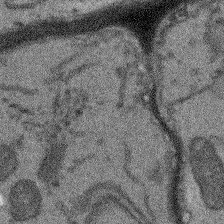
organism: Arabidopsis thaliana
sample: Root tip